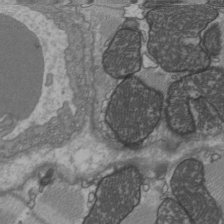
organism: C57BL Mouse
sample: Heart